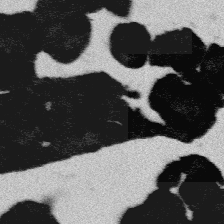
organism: Platynereis dumerilii